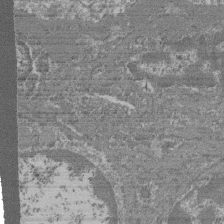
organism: Mouse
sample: Glomerulus